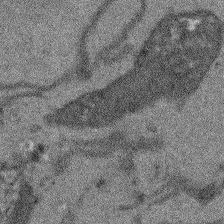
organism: Arabidopsis thaliana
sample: Root tip